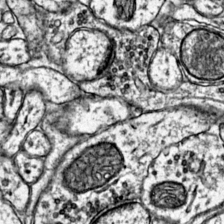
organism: Mouse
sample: Primary visual cortex